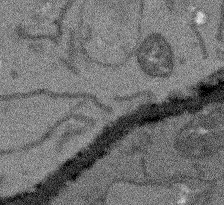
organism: Arabidopsis thaliana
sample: Root tip